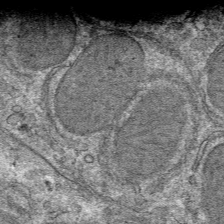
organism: Mouse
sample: Mouse hepatocytes